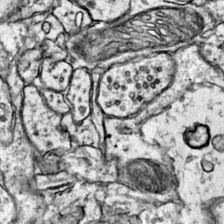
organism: Mouse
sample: Primary visual cortex